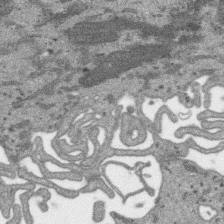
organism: Human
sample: Lung epithelial cells infected with SARS-CoV-2